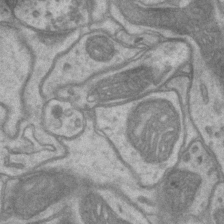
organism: Mouse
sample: CA1 Hippocampus